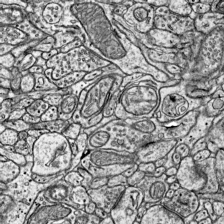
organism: Mouse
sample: Visual Cortex